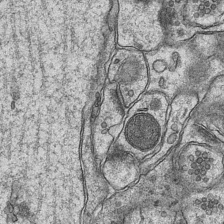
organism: Mouse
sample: CA1 Hippocampus